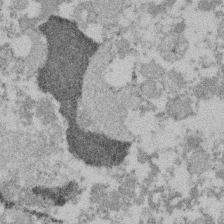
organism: Mouse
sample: Dividing mouse embryo 1 cell stage